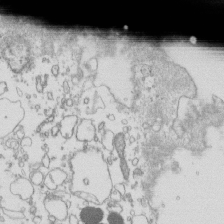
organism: Mouse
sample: Macrophages